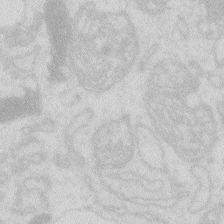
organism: Zebrafish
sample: Macrophage